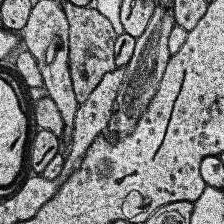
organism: Human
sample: Temporal Lobe